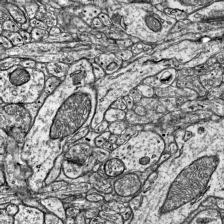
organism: Mouse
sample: Visual Cortex